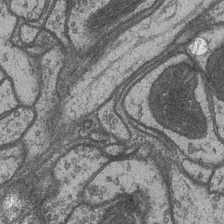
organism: Drosophila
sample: Optic medulla